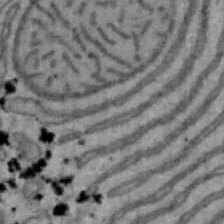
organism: Mouse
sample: Liver